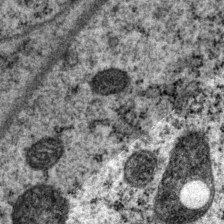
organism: P. pacificus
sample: Pharynx